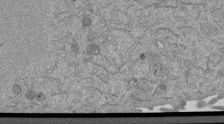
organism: Mouse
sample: ED-1 cell nuclei; centrioles